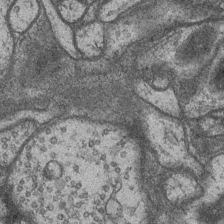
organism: Drosophila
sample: Optic medulla